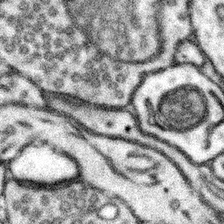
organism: Mouse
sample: Somatosensory cortex neuropil